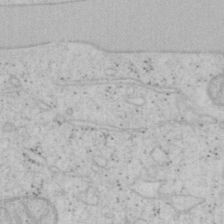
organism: Human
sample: HeLa cells